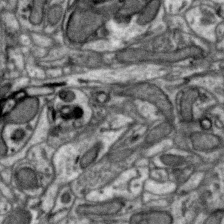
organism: Zebra finch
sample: Brain